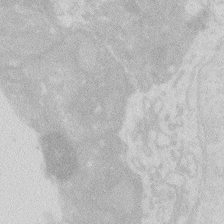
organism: Zebrafish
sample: Macrophage